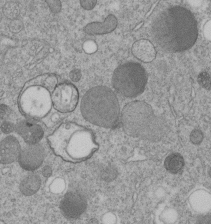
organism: C. elegans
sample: C. elegans embryo early stage